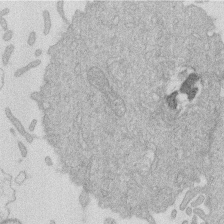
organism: Human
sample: Macrophage cells